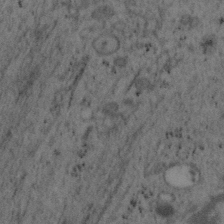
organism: Human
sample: HeLa cells